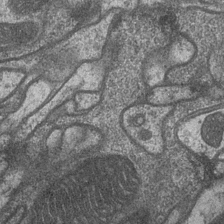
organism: Drosophila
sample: Optic medulla